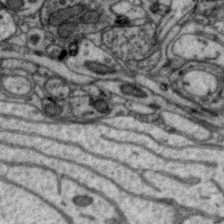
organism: Zebra finch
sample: Brain